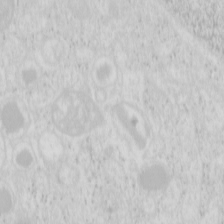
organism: Mouse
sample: Pancreas